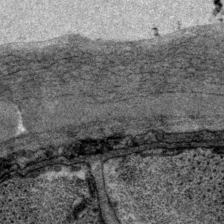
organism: P. pacificus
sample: Pharynx